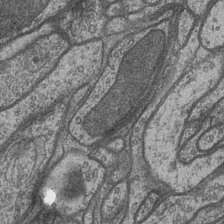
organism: Drosophila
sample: Optic medulla